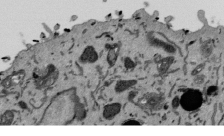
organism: Mouse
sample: ED-1 cell nuclei; centrioles